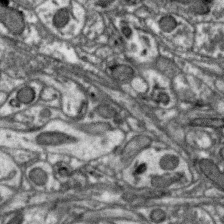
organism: Zebra finch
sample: Brain